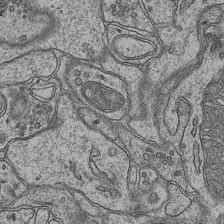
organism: Mouse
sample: CA1 Hippocampus